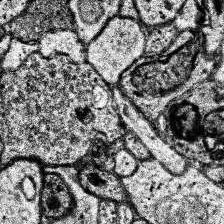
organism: Human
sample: Temporal Lobe